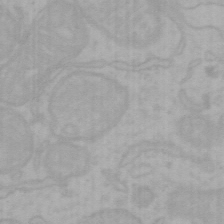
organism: Mouse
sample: Choroid plexus